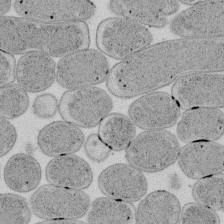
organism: E. coli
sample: Bacterial nucleoid